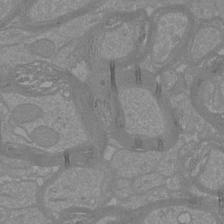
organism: Mouse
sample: Cortical neurons